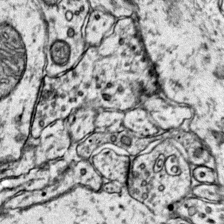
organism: Mouse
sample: Primary visual cortex